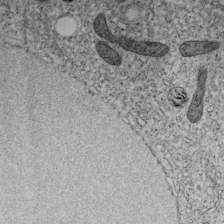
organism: C. elegans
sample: C. elegans embryo early stage